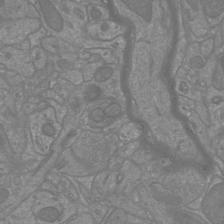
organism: Mouse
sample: Cortical neurons